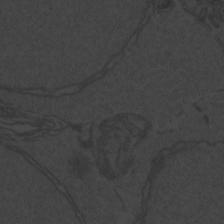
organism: Zebrafish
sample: Macrophage infected with Toxoplasma gondii